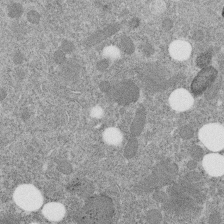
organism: C. elegans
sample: C. elegans embryo early stage